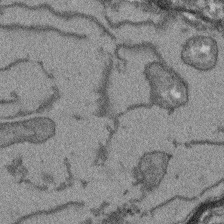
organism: Arabidopsis thaliana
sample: Root tip